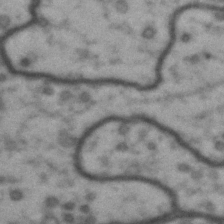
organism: Drosophila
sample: Brain